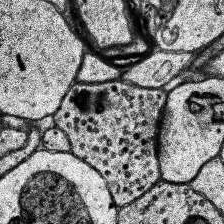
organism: Human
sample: Temporal Lobe